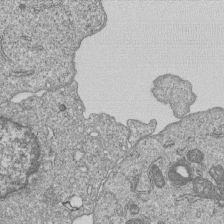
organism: Human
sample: MDA-MB-231 cells